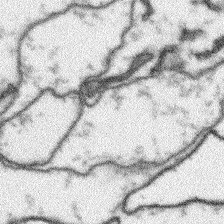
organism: Arabidopsis thaliana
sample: Root tip